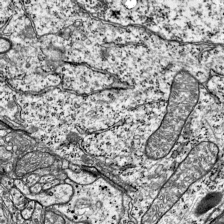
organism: Mouse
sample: Visual Cortex